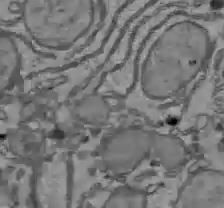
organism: C57BL Mouse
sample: Liver